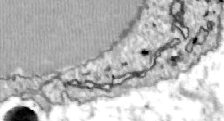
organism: Zebrafish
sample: Actinotrichia fibers